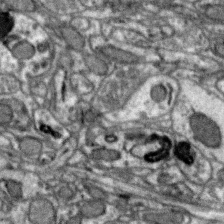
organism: Zebra finch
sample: Brain